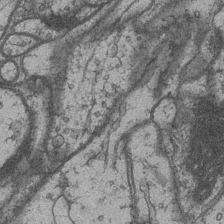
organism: Drosophila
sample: Optic medulla